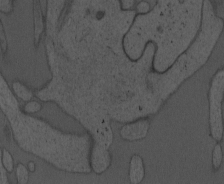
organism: Mouse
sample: OT-I killer T cells with ID8 ovarian cancer cells